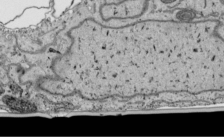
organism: Human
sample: Mitochondria in HCT116 cells